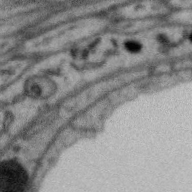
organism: Zebra finch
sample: Brain